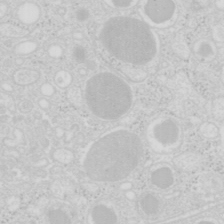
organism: Mouse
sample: Pancreas